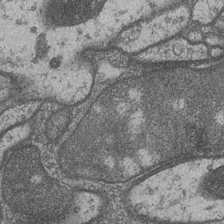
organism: Drosophila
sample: Optic medulla